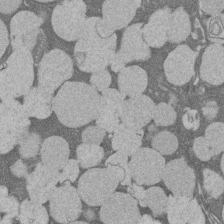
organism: Rat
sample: Salivary granule